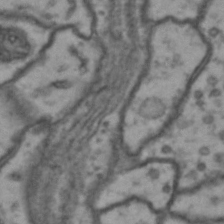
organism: Drosophila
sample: Brain